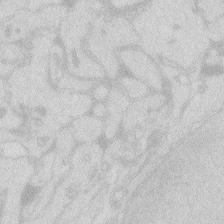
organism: Zebrafish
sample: Macrophage